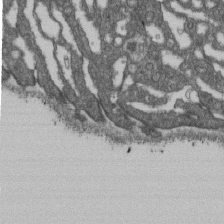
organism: Drosophila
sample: Nephrocyte